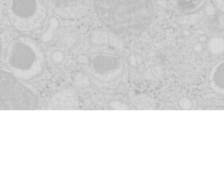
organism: Mouse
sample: Pancreas